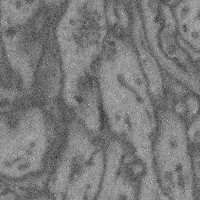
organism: Mouse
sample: Cerebral cortex